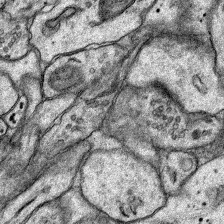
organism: Rat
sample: Hippocampus